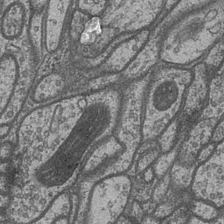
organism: Drosophila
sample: Optic medulla